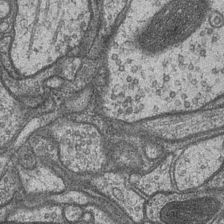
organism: Drosophila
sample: Optic medulla